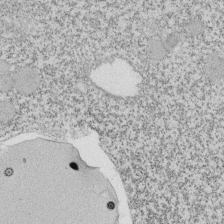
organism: Tetrahymena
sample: Cilia in tetrahymena